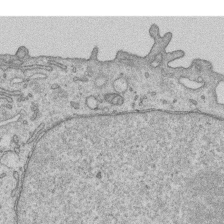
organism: Human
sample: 1205lu cells